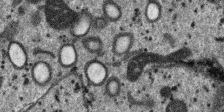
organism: Human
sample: Lung epithelial cells infected with SARS-CoV-2